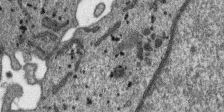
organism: Human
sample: Lung epithelial cells infected with SARS-CoV-2